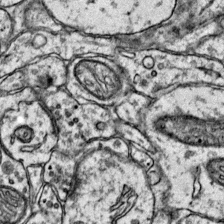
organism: Mouse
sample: Primary visual cortex